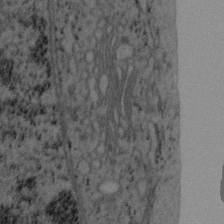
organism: Human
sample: HeLa cells